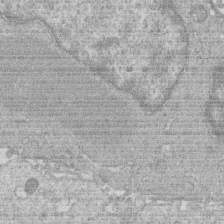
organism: Human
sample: Macrophage cells